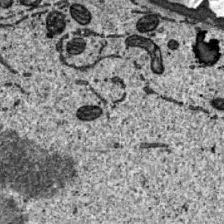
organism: Human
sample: HeLa cells